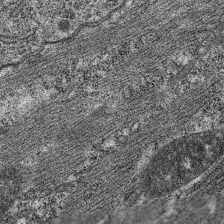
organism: C. elegans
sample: Pharynx